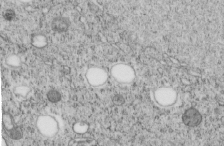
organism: C. elegans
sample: C. elegans embryo early stage